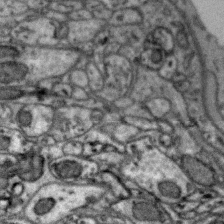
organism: Zebra finch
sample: Brain